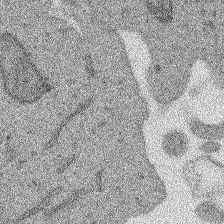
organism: Human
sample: HeLa cells